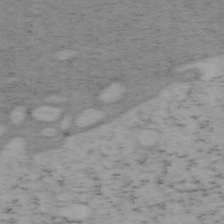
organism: Mouse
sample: OT-I killer T cells with ID8 ovarian cancer cells